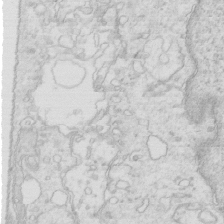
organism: Mouse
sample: Multiciliated cells